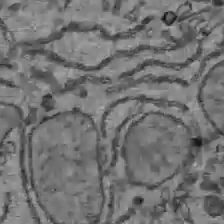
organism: C57BL Mouse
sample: Liver